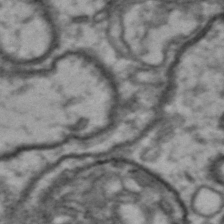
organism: Drosophila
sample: Brain